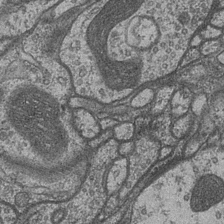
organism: Drosophila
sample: Optic medulla